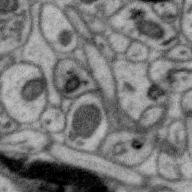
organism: Zebra finch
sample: Brain